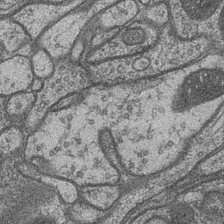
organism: Drosophila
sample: Optic medulla